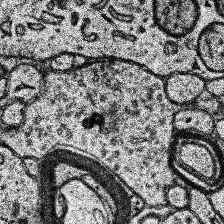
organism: Human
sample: Temporal Lobe